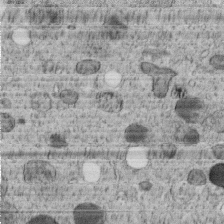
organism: C. elegans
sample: C. elegans embryo early stage